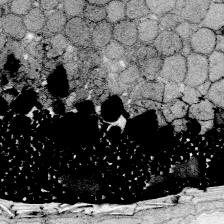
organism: Zebrafish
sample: Whole-Brain